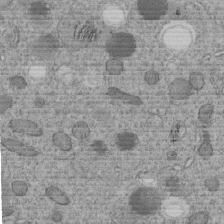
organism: C. elegans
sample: C. elegans embryo early stage